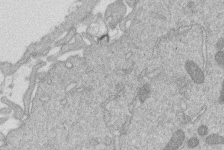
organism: Human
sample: Macrophage cells